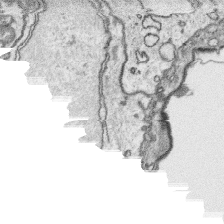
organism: Platynereis dumerilii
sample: Parapodia